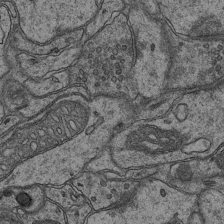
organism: Mouse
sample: CA1 Hippocampus